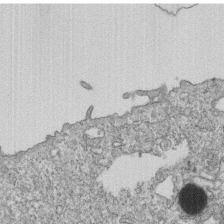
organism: Human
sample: HeLa cell HIV synapse